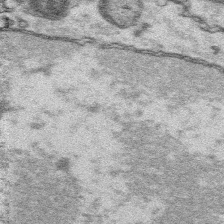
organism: Platynereis dumerilii